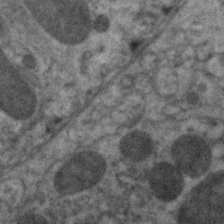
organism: C. elegans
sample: Pharynx